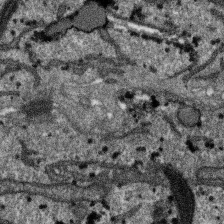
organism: Human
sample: Lung epithelial cells infected with SARS-CoV-2